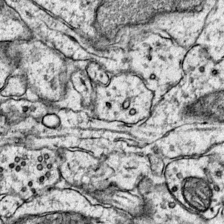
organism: Mouse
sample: Primary visual cortex